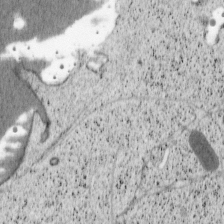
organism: African green monkey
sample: COS-7 cells